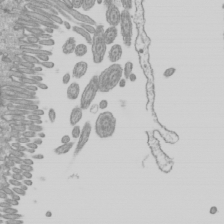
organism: Mouse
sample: Cilia; mouse epididymis